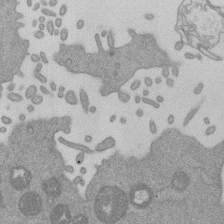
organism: Mouse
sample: Dividing mouse embryo 1 cell stage